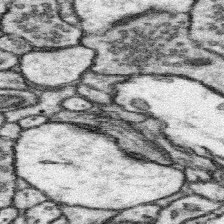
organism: Mouse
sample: Somatosensory cortex neuropil